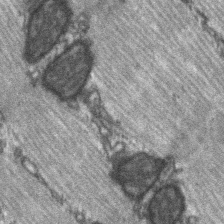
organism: C57BL Mouse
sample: Soleus